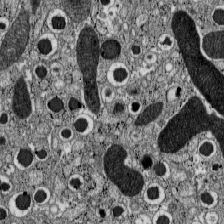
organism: C57BL Mouse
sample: Pancreatic islet